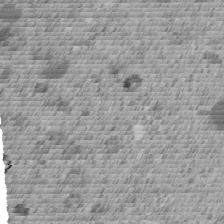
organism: C. elegans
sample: C. elegans embryo early stage